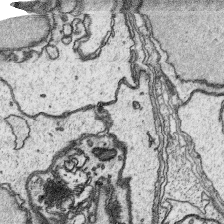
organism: Platynereis dumerilii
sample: Parapodia